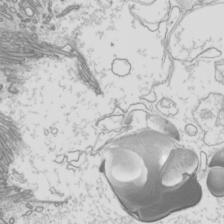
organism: Mouse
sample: Cilia; mouse epididymis